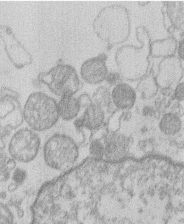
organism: Human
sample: Macrophage cells